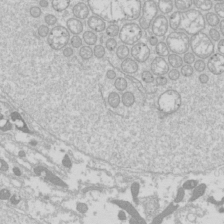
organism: Drosophila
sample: Cell division; meiosis; drosophila spermatocytes